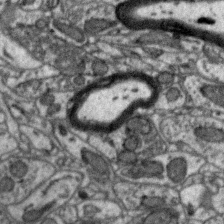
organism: Zebra finch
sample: Brain